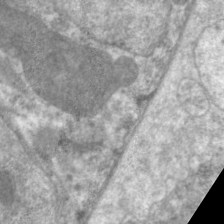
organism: C. elegans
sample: Pharynx